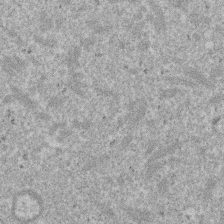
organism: Mouse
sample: Dividing mouse embryo 1 cell stage